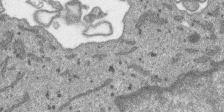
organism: Human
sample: Lung epithelial cells infected with SARS-CoV-2